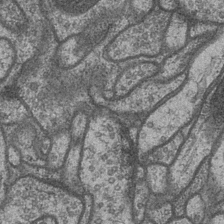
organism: Drosophila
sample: Optic medulla